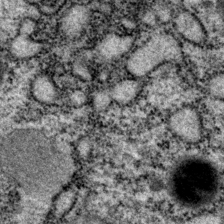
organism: P. pacificus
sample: Pharynx